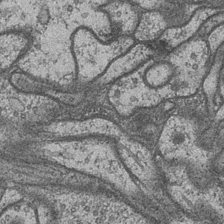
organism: Drosophila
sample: Optic medulla